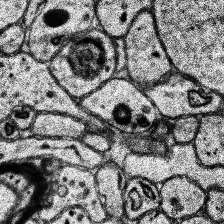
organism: Human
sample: Temporal Lobe